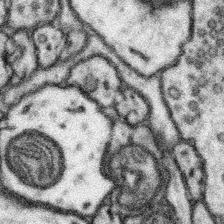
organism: Mouse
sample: Somatosensory cortex neuropil